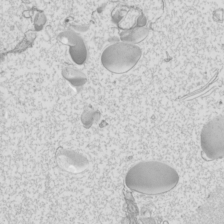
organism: Mouse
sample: Cilia; mouse epididymis